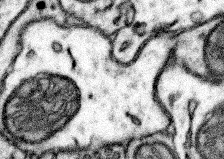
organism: Mouse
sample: Somatosensory cortex neuropil